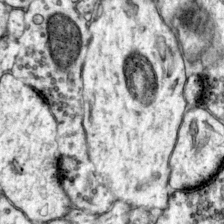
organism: Mouse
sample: Primary visual cortex